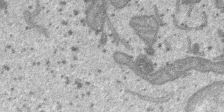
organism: Human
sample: Lung epithelial cells infected with SARS-CoV-2